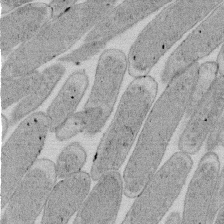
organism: E. coli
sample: Bacterial nucleoid